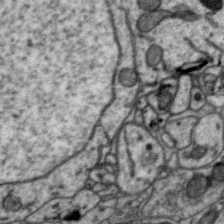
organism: Zebra finch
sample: Brain